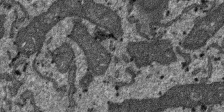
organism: Human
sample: Lung epithelial cells infected with SARS-CoV-2